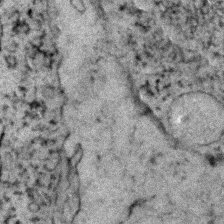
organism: Zebrafish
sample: Zebrafish embryo